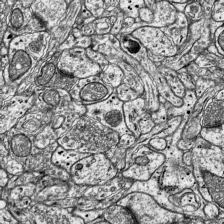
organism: Mouse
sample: Visual Cortex